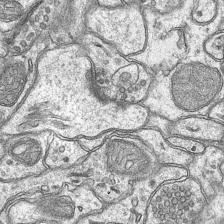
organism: Mouse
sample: CA1 Hippocampus